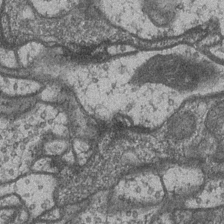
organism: Drosophila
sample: Optic medulla